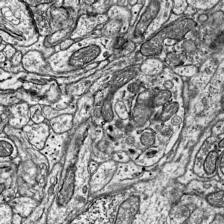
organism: Mouse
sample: Visual Cortex